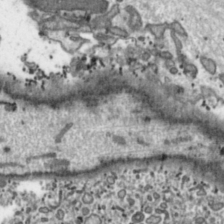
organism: Toxoplasma gondii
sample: Parasites in a vacuole inside a host cell